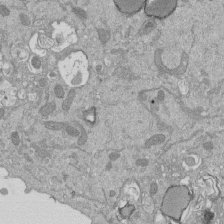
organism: Mouse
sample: ED-1 cell nuclei; centrioles